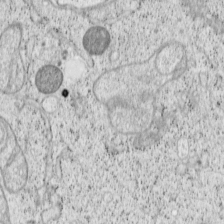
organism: African green monkey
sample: COS-7 cells